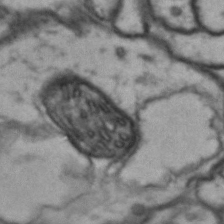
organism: Drosophila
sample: Brain